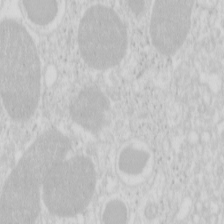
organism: Mouse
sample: Pancreas